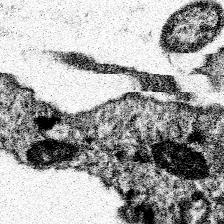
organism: Spongilla lacustris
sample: Neuroid cell